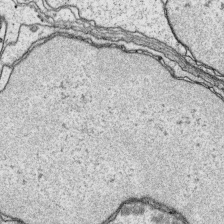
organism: Platynereis dumerilii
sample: Parapodia